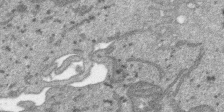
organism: Human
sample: Lung epithelial cells infected with SARS-CoV-2